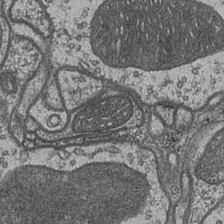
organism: Drosophila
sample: Optic medulla